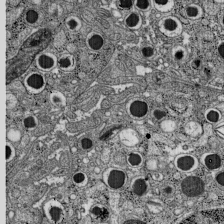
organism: C57BL Mouse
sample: Pancreatic islet